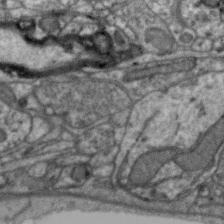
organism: Zebra finch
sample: Brain